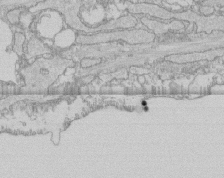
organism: Human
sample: CRL-1474